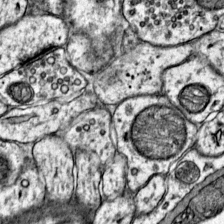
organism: Mouse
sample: Primary visual cortex